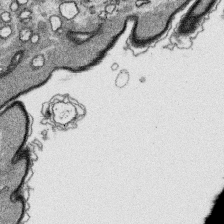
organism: Platynereis dumerilii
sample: Parapodia